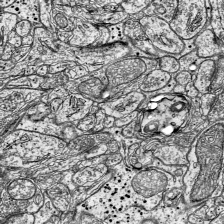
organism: Mouse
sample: Visual Cortex